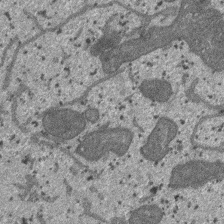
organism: Human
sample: Lung epithelial cells infected with SARS-CoV-2